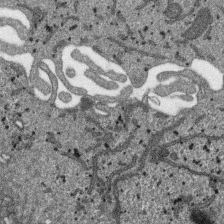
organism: Human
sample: Lung epithelial cells infected with SARS-CoV-2